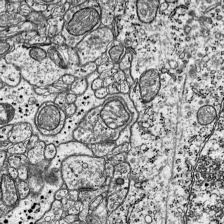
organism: Mouse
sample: Visual Cortex